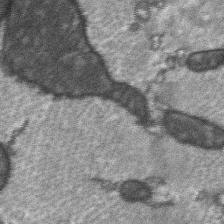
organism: C57BL Mouse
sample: Soleus